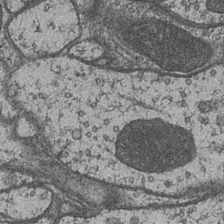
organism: Drosophila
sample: Optic medulla